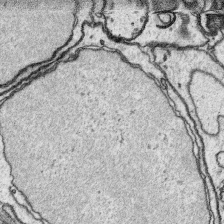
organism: Platynereis dumerilii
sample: Parapodia